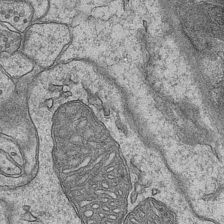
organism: Mouse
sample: CA1 Hippocampus